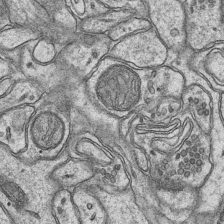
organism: Mouse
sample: CA1 Hippocampus